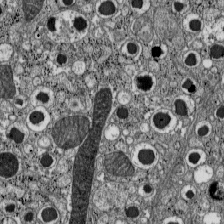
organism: C57BL Mouse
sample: Pancreatic islet